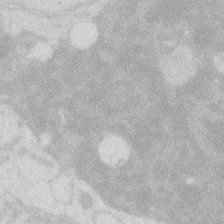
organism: Zebrafish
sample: Macrophage